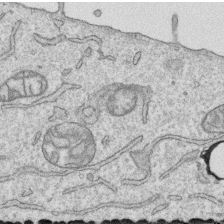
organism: Human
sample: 1205lu cells